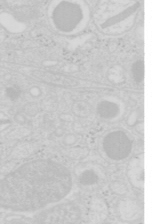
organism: Mouse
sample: Pancreas